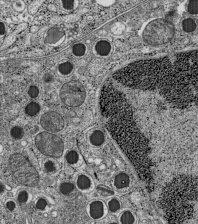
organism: C57BL Mouse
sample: Pancreatic islet